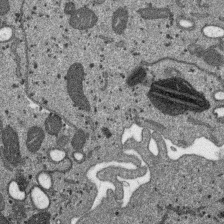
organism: Human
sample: Lung epithelial cells infected with SARS-CoV-2